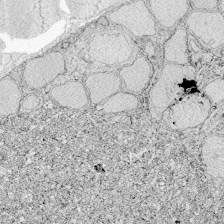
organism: Zebrafish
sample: Whole-Brain